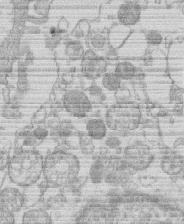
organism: Human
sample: Macrophage cells